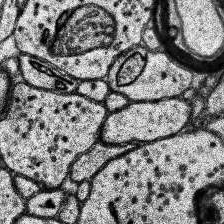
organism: Human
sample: Temporal Lobe